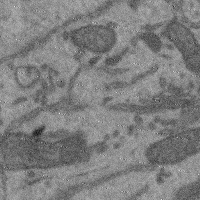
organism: Mouse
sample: Cerebral cortex